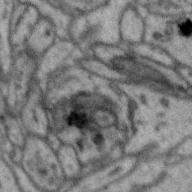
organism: Zebra finch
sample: Brain